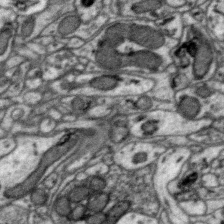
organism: Zebra finch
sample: Brain